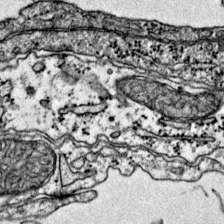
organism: Mouse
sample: Primary visual cortex